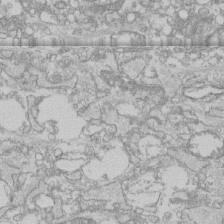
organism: Human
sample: CRL-1474